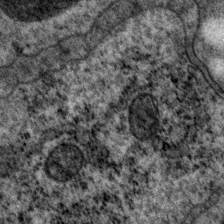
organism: P. pacificus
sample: Pharynx